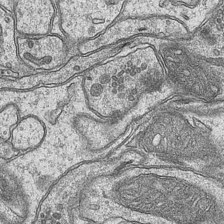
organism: Mouse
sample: CA1 Hippocampus